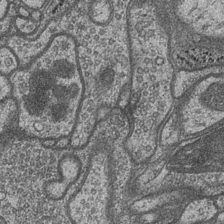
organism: Drosophila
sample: Optic medulla